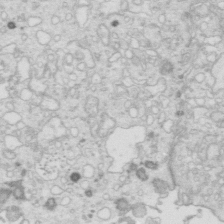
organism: Mouse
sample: Multiciliated cells